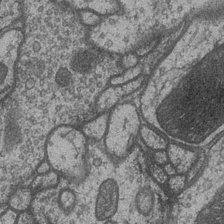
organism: Drosophila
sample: Optic medulla